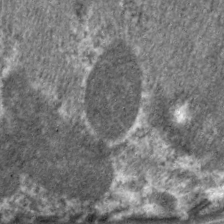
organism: C. elegans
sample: Pharynx